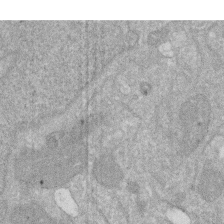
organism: Human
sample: HIV infected U937 cells